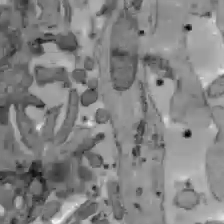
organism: C57BL Mouse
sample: Liver